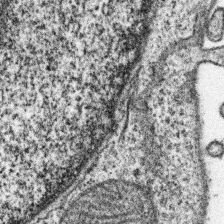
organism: Human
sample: HeLa cells